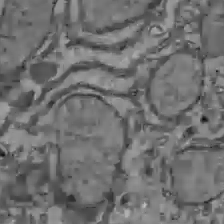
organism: C57BL Mouse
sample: Liver